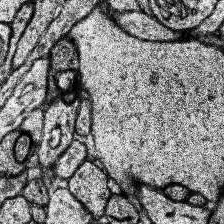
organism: Human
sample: Temporal Lobe